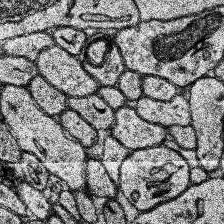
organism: Human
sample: Temporal Lobe